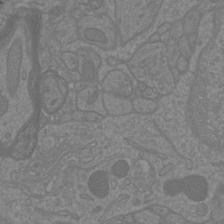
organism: Mouse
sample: Cortical neurons